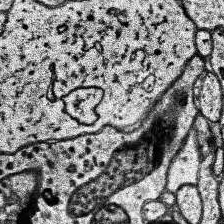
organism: Human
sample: Temporal Lobe